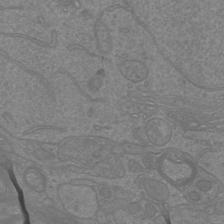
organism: Mouse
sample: Cortical neurons